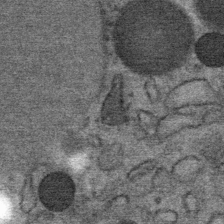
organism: Mouse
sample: Mouse Salivary gland